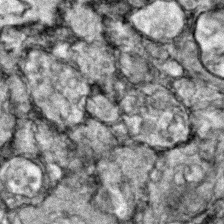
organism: Zebrafish